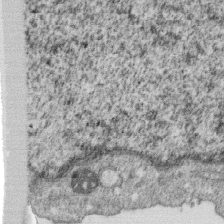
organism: African green monkey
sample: Vero E6 cells infected with SARS-CoV-2